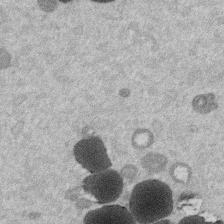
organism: Mouse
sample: Dividing mouse embryo 1 cell stage